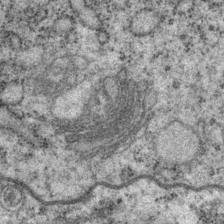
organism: P. pacificus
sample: Pharynx